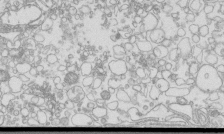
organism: Mouse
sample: Macrophages